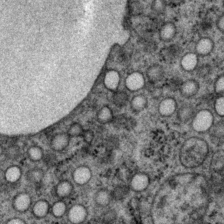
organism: P. pacificus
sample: Pharynx